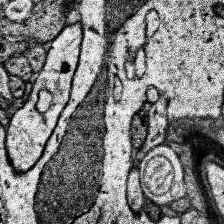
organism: Human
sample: Temporal Lobe